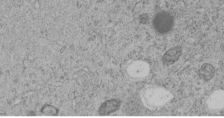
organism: C. elegans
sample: C. elegans embryo early stage